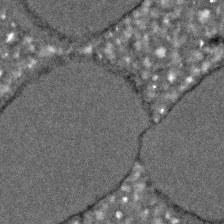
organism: C. elegans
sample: C. elegans embryo